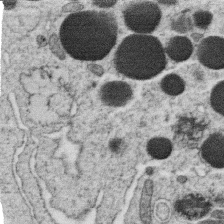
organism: C. elegans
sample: C. elegans oocyte; sperm cells